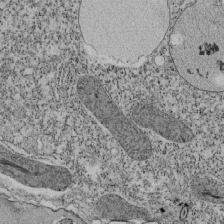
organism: Tetrahymena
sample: Cilia in tetrahymena